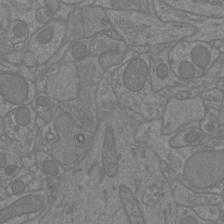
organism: Mouse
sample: Cortical neurons